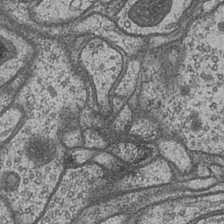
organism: Drosophila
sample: Optic medulla